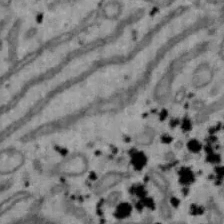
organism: Mouse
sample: Liver